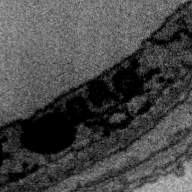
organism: Zebra finch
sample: Brain